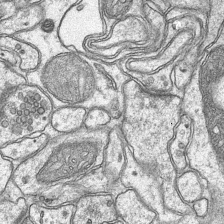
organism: Mouse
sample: CA1 Hippocampus